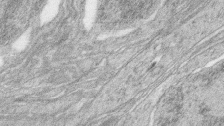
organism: Zebrafish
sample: synaptic ribbons in rod cells and cone cells